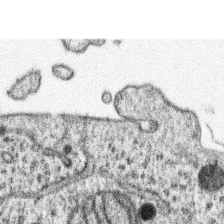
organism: Human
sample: HeLa cells